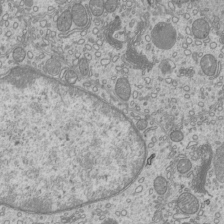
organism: Mouse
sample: Cilia; mouse epididymis